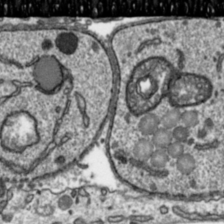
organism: Toxoplasma gondii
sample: Parasites in a vacuole inside a host cell